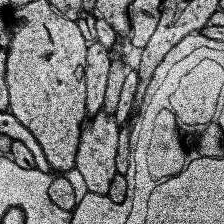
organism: Human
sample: Temporal Lobe